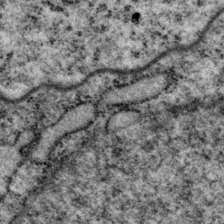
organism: P. pacificus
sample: Pharynx